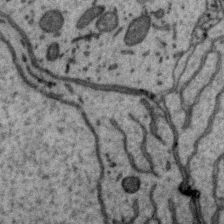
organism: Zebra finch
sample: Brain